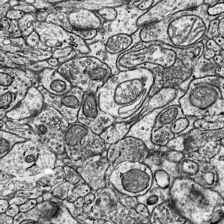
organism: Mouse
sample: Visual Cortex